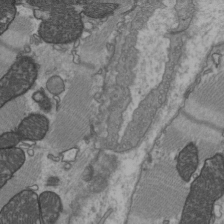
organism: C57BL Mouse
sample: Heart